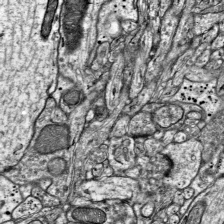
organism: Mouse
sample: Visual Cortex